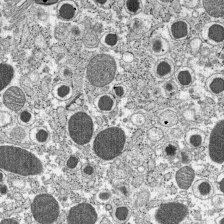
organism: C57BL Mouse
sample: Pancreatic islet